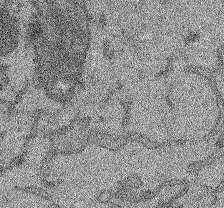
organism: Human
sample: HeLa cells